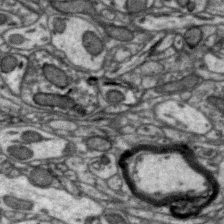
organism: Zebra finch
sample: Brain